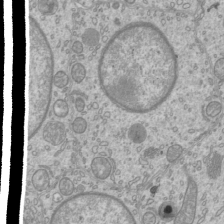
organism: Mouse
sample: Cilia; mouse epididymis